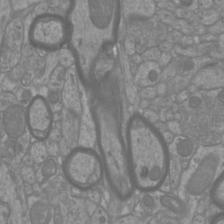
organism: Mouse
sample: Cortical neurons